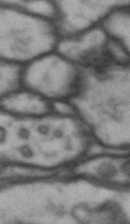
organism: Drosophila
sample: Brain